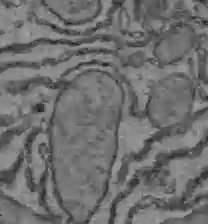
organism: C57BL Mouse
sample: Liver